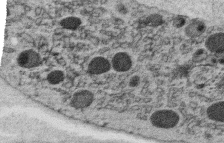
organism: C. elegans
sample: C. elegans oocyte; sperm cells